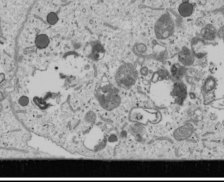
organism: Human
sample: Mitochondria in U2OS cells